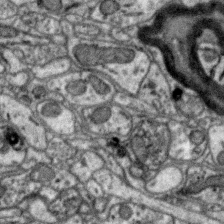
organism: Zebra finch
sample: Brain